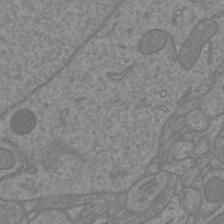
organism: Mouse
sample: Cortical neurons